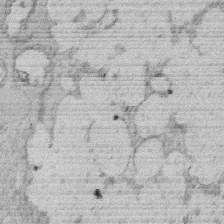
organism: Rat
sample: Salivary granule